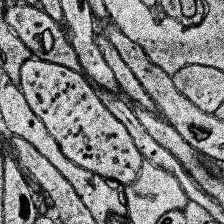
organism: Human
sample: Temporal Lobe